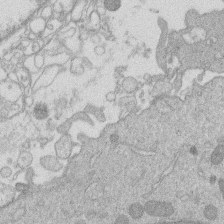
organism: Human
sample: Macrophage cells